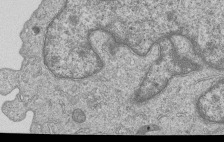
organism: Human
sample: MDA-MB-231 cells